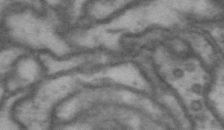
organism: Drosophila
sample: Brain